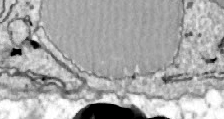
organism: Zebrafish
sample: Actinotrichia fibers